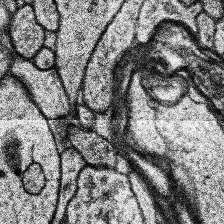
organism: Human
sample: Temporal Lobe